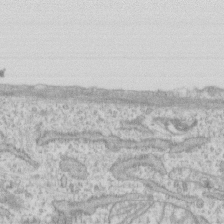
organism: Human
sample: CRL-1474